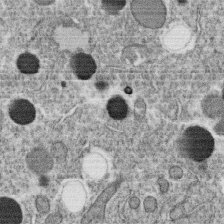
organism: C. elegans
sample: C. elegans oocyte; sperm cells